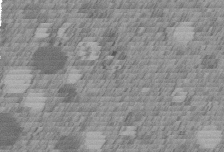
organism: C. elegans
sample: C. elegans embryo early stage